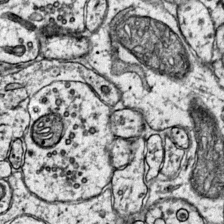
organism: Mouse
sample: Primary visual cortex